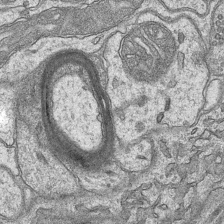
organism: Mouse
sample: CA1 Hippocampus